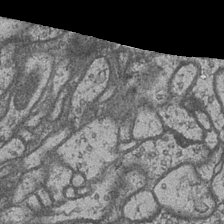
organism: Drosophila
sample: Optic medulla